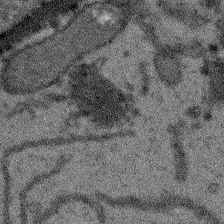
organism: Arabidopsis thaliana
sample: Root tip